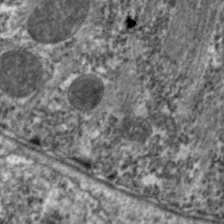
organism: C. elegans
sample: Pharynx